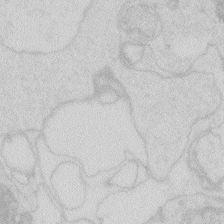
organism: Zebrafish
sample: Macrophage